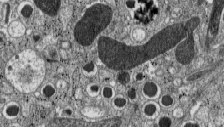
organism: C57BL Mouse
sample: Pancreatic islet